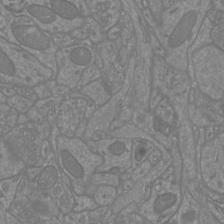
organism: Mouse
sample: Cortical neurons